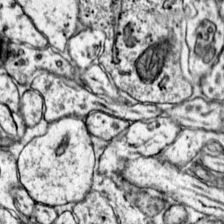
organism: Mouse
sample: Primary visual cortex